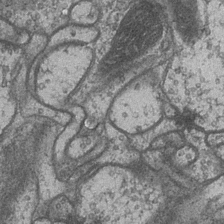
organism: Drosophila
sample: Optic medulla